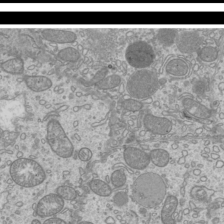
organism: Mouse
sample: Cilia; mouse epididymis